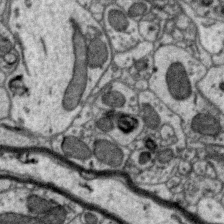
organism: Zebra finch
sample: Brain